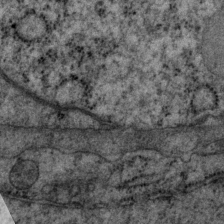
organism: P. pacificus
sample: Pharynx